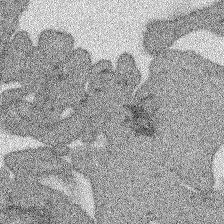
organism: Human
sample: HeLa cells